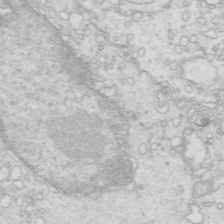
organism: Mouse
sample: Multiciliated cells